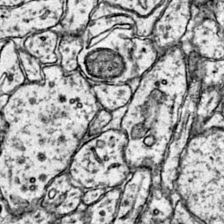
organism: Mouse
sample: Primary visual cortex